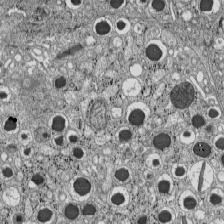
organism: C57BL Mouse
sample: Pancreatic islet